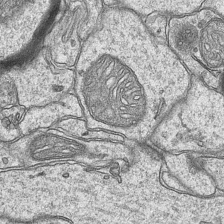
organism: Mouse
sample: CA1 Hippocampus